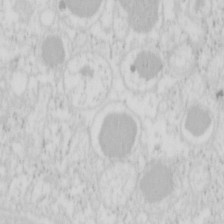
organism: Mouse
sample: Pancreas